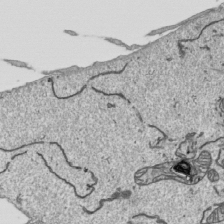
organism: Human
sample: Mitochondria in HCT116 cells